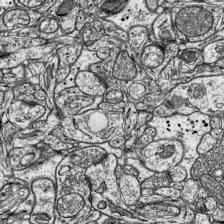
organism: Mouse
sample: Visual Cortex